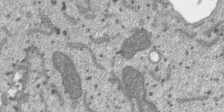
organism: Human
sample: Lung epithelial cells infected with SARS-CoV-2